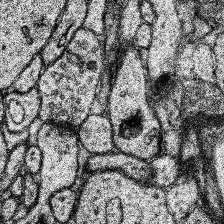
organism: Human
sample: Temporal Lobe